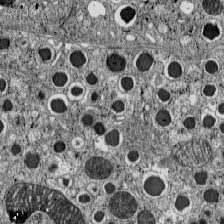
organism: C57BL Mouse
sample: Pancreatic islet